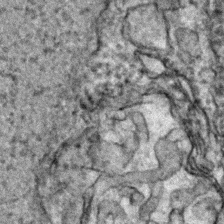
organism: Zebrafish